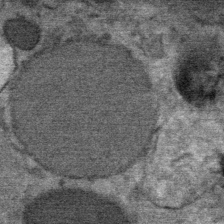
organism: Mouse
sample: Mouse Salivary gland